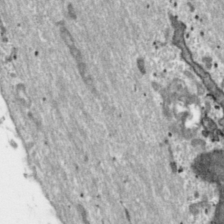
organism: Toxoplasma gondii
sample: Parasites in a vacuole inside a host cell